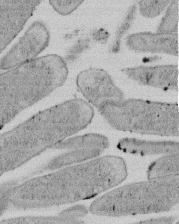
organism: E. coli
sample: Bacterial nucleoid